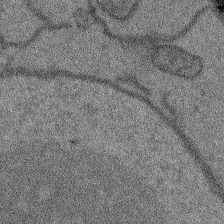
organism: Arabidopsis thaliana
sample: Root tip